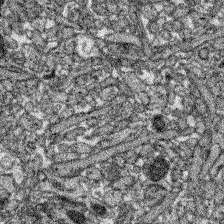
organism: Zebrafish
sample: Larval olfactory bulb